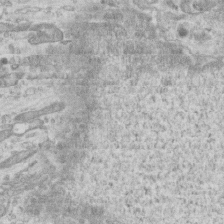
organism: Mouse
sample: Centriole in ependymal cells